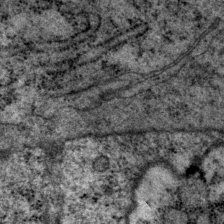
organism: P. pacificus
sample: Pharynx